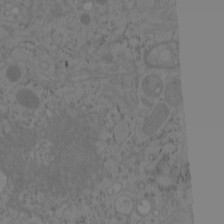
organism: Human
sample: HeLa cells